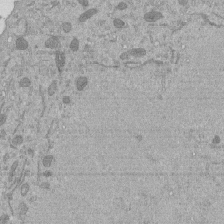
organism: Mouse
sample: ED-1 cell nuclei; centrioles